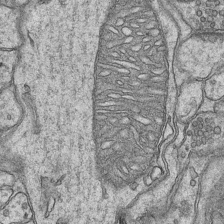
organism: Mouse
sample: CA1 Hippocampus